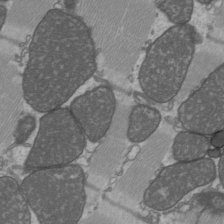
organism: C57BL Mouse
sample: Heart